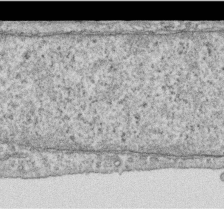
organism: Human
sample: Centriole in RPE cells